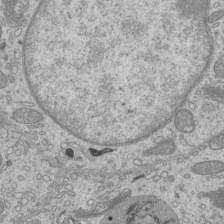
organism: Mouse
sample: Cilia; mouse epididymis